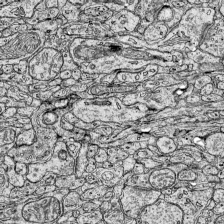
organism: Mouse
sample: Visual Cortex